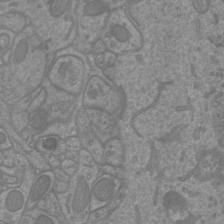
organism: Mouse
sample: Cortical neurons